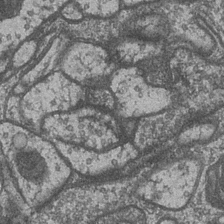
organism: Drosophila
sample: Optic medulla